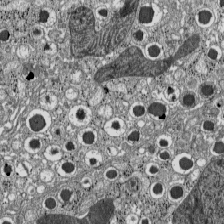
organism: C57BL Mouse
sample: Pancreatic islet